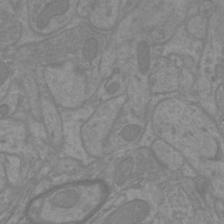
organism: Mouse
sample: Cortical neurons